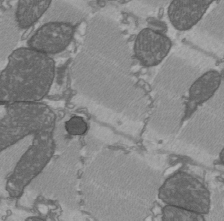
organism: C57BL Mouse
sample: Heart